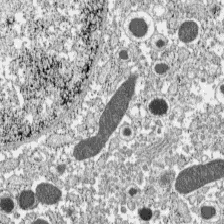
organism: C57BL Mouse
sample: Pancreatic islet